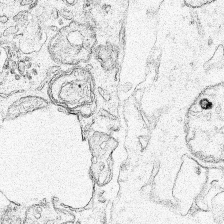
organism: Human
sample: Mitochondria in HCT116 cells